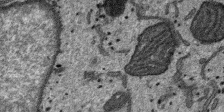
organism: Human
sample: Lung epithelial cells, uninfected (mock) control